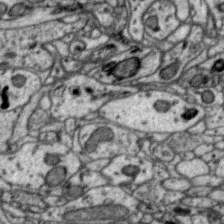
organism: Zebra finch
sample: Brain